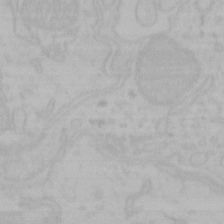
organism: Mouse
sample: Choroid plexus